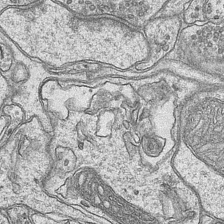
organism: Mouse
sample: CA1 Hippocampus